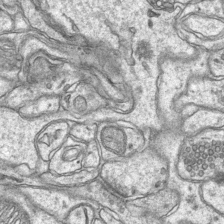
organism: Mouse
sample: CA1 Hippocampus